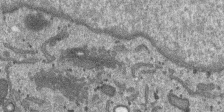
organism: Human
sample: Lung epithelial cells infected with SARS-CoV-2